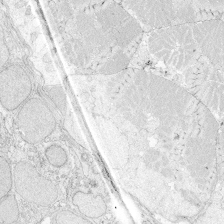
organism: Zebrafish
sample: Whole-Brain